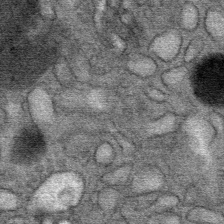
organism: Mouse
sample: Mouse Salivary gland